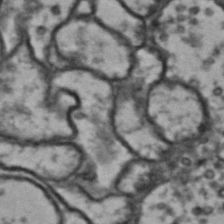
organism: Drosophila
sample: Brain